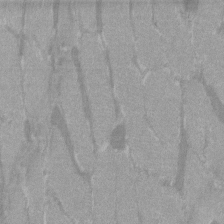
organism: C57BL Mouse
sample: Tibialis anterior muscle cell